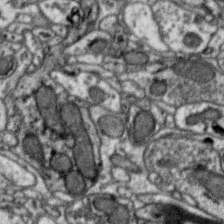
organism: Zebra finch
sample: Brain